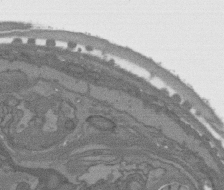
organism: C. elegans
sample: AFD neurons C. elegans